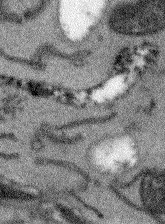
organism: Arabidopsis thaliana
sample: Root tip